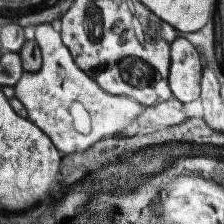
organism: Human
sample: Temporal Lobe